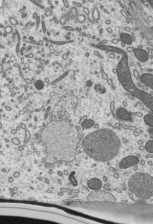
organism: Mouse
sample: Mouse epididymis efferent ductule cilia